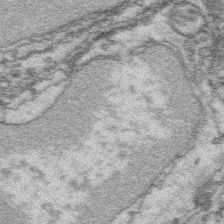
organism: Platynereis dumerilii